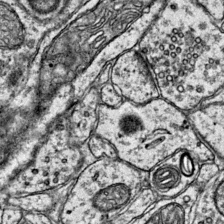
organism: Mouse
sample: Primary visual cortex